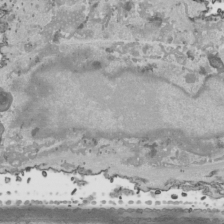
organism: Human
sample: Mitochondria in HCT116 cells